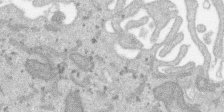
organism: Human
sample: Lung epithelial cells infected with SARS-CoV-2